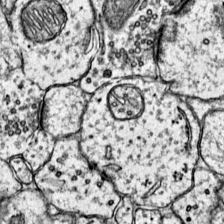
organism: Mouse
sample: Primary visual cortex